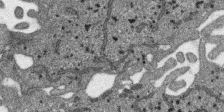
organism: Human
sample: Lung epithelial cells infected with SARS-CoV-2